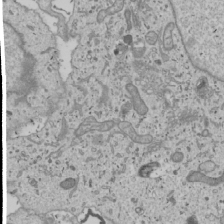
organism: Human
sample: Mitochondria in U2OS cells